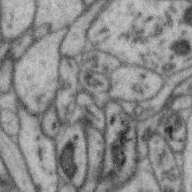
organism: Zebra finch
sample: Brain